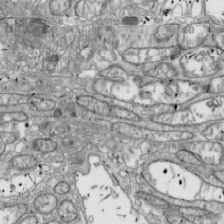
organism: Drosophila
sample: Cell division; meiosis; drosophila spermatocytes